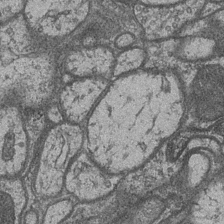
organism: Drosophila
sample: Optic medulla